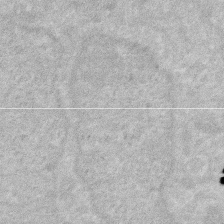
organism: Human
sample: HIV infected U937 cells